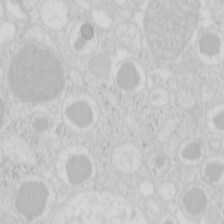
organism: Mouse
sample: Pancreas